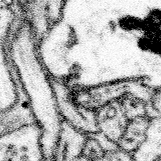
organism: Mouse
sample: Somatosensory cortex neuropil